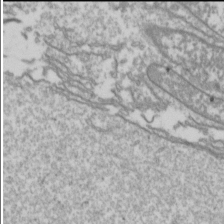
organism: Drosophila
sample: Cell division; meiosis; drosophila spermatocytes